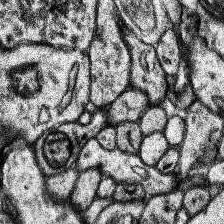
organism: Human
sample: Temporal Lobe